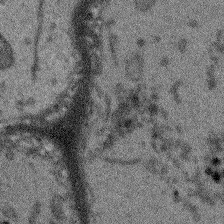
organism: Arabidopsis thaliana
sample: Root tip